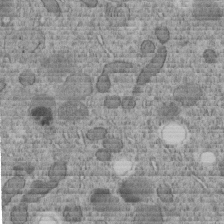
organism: C. elegans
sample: C. elegans embryo early stage